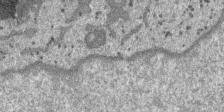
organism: Human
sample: Lung epithelial cells infected with SARS-CoV-2